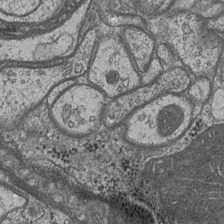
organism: Drosophila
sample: Optic medulla